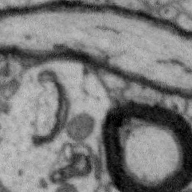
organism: Zebra finch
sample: Brain